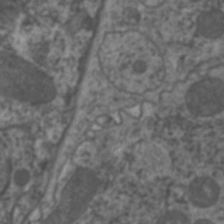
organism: C. elegans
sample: Pharynx